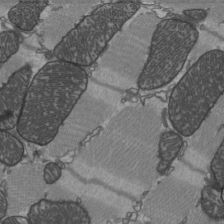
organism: C57BL Mouse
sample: Heart